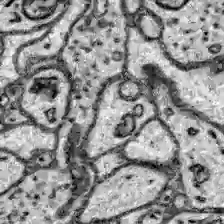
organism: Zebrafish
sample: Brain